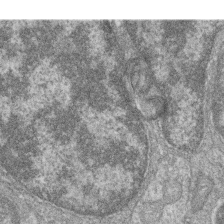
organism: Zebrafish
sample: Cilia; retinal pigment epithelium